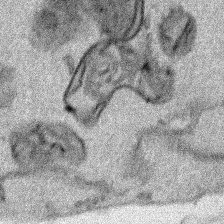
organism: Human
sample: Mitochondria in HCT116 cells